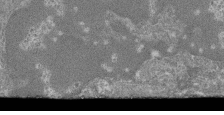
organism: Mouse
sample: Glomerulus